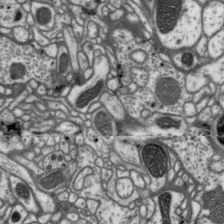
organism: Drosophila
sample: Protocerebral bridge